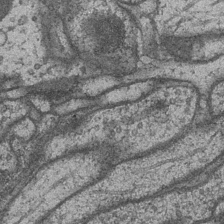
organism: Drosophila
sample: Optic medulla